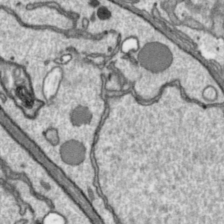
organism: Toxoplasma gondii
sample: Parasites in a vacuole inside a host cell